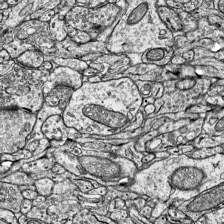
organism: Mouse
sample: Visual Cortex